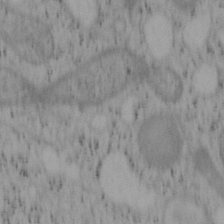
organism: Mouse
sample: OT-I killer T cells with ID8 ovarian cancer cells